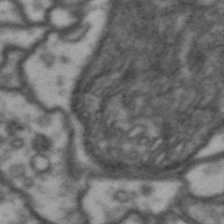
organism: Drosophila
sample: Brain